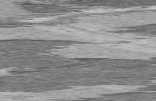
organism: C57BL Mouse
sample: Heart